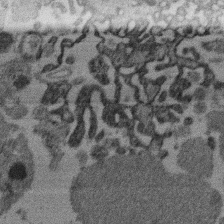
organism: Mouse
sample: Dividing mouse embryo 1 cell stage